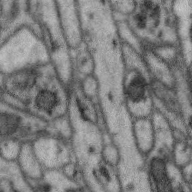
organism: Zebra finch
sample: Brain